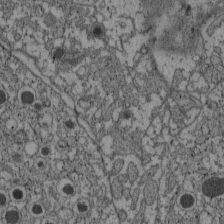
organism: C57BL Mouse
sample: Pancreatic islet